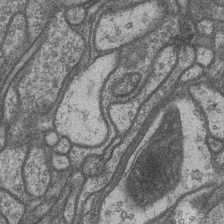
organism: Drosophila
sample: Optic medulla